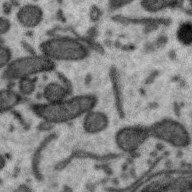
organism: Zebra finch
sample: Brain